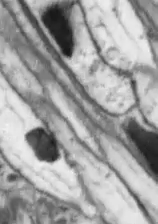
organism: Drosophila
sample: Optic lobe